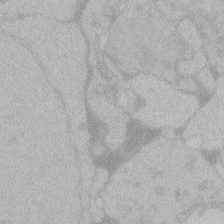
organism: Zebrafish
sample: Macrophage infected with Toxoplasma gondii